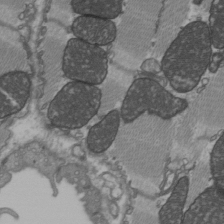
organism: C57BL Mouse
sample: Heart